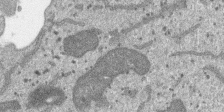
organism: Human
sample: Lung epithelial cells infected with SARS-CoV-2